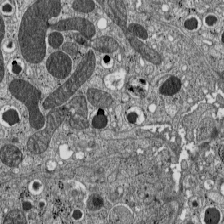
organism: C57BL Mouse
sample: Pancreatic islet